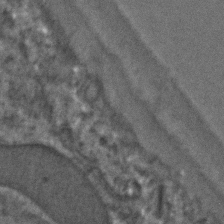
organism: C. elegans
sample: C. elegans embryo